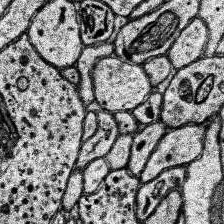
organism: Human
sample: Temporal Lobe